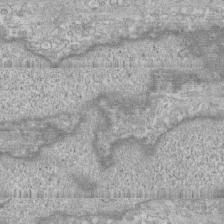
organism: Human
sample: CRL-1474